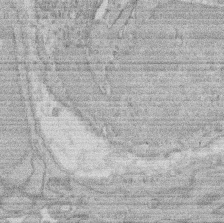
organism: Rat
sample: Salivary granule